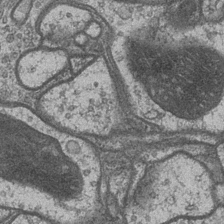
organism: Drosophila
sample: Optic medulla